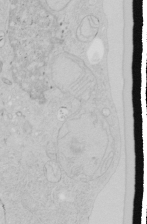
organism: Human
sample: Mitochondria in HCT116 cells